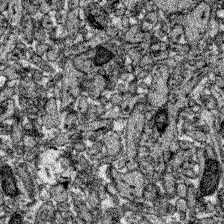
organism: Zebrafish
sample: Larval olfactory bulb